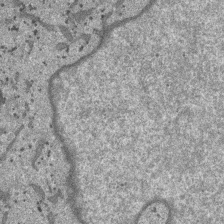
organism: Human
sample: Lung epithelial cells infected with SARS-CoV-2